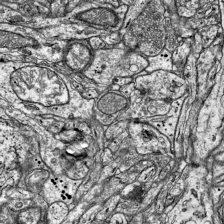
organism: Mouse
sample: Visual Cortex